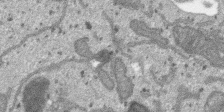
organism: Human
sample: Lung epithelial cells infected with SARS-CoV-2